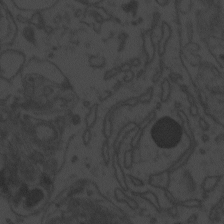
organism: Zebrafish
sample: Macrophage infected with Toxoplasma gondii